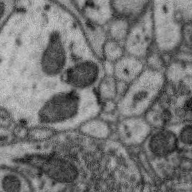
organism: Zebra finch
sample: Brain